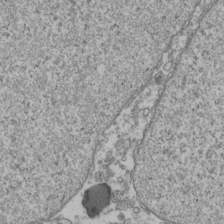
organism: Human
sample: Activated Jurkat CD4+ T cells